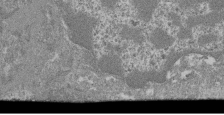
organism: Mouse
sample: Glomerulus